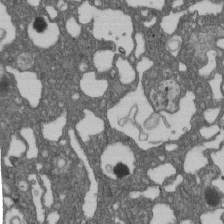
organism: Drosophila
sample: Nephrocyte